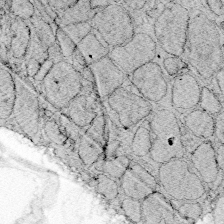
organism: Zebrafish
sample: Whole-Brain